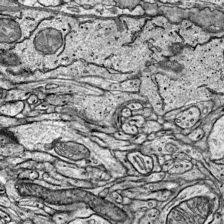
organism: Mouse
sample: Visual Cortex